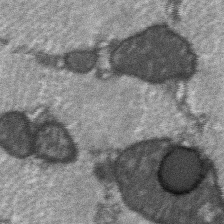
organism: C57BL Mouse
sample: Soleus